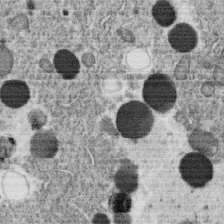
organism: C. elegans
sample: C. elegans oocyte; sperm cells